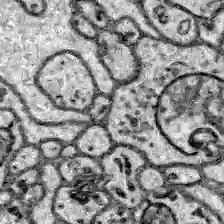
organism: Zebrafish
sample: Brain